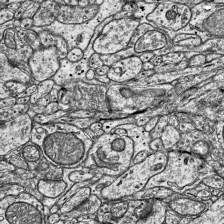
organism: Mouse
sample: Visual Cortex